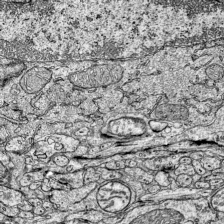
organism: Mouse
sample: Visual Cortex